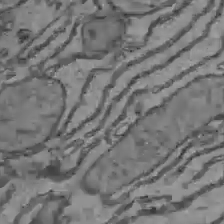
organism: C57BL Mouse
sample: Liver